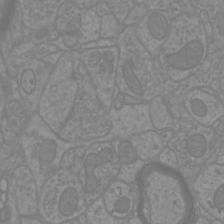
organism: Mouse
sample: Cortical neurons